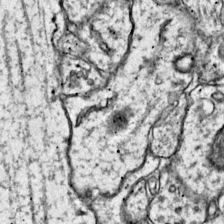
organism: Mouse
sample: Primary visual cortex